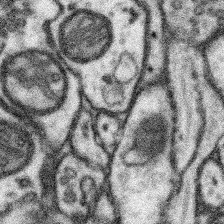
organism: Mouse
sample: Somatosensory cortex neuropil